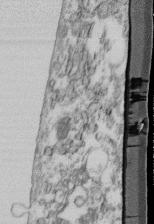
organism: Mouse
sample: Cilia; retinal pigment epithelium